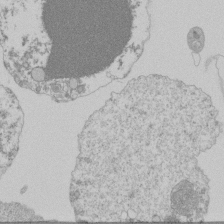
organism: Mouse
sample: Activated Pmel transgenic CD8+ T Cells